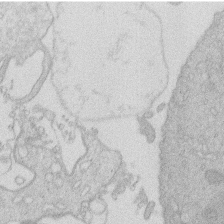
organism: Human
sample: Macrophage cells